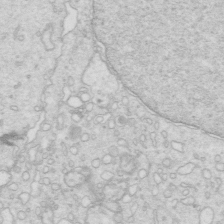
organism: Mouse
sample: Multiciliated cells